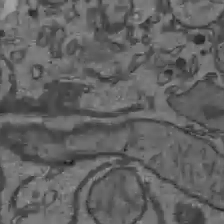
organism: C57BL Mouse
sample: Liver